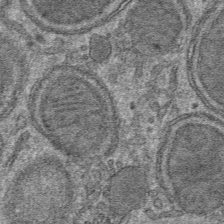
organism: Mouse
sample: Mouse hepatocytes